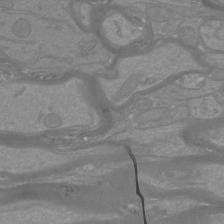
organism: Mouse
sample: Cortical neurons